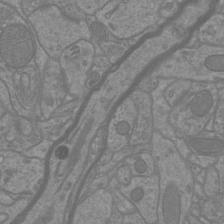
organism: Mouse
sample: Cortical neurons